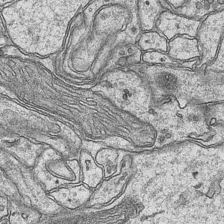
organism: Mouse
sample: CA1 Hippocampus